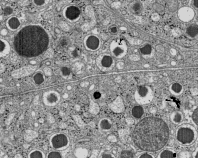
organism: C57BL Mouse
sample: Pancreatic islet